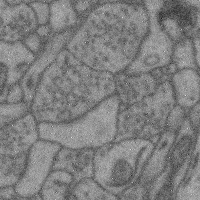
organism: Mouse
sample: Cerebral cortex